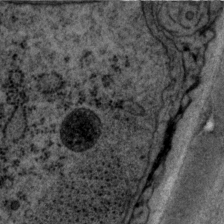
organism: P. pacificus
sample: Pharynx